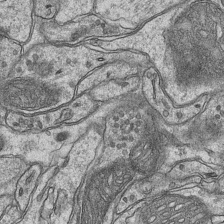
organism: Mouse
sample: CA1 Hippocampus